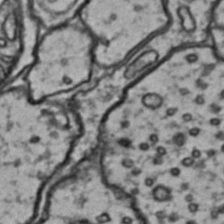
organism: Drosophila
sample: Brain